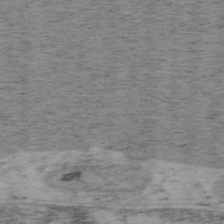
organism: Mouse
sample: OT-I killer T cells with ID8 ovarian cancer cells